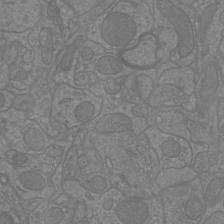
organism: Mouse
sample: Cortical neurons